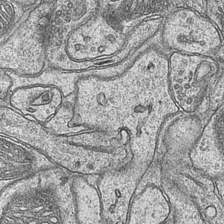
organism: Mouse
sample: CA1 Hippocampus